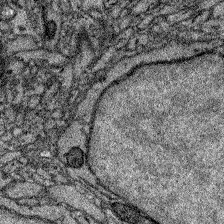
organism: Zebrafish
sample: Larval olfactory bulb